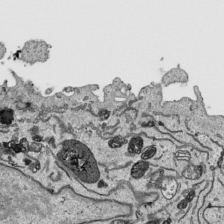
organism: Human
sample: Mitochondria in HCT116 cells